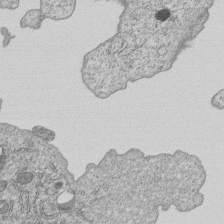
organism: Human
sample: MDA-MB-231 cells